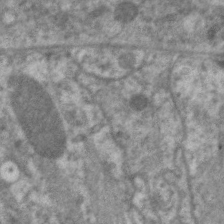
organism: C. elegans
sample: Pharynx